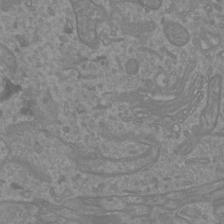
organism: Mouse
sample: Cortical neurons